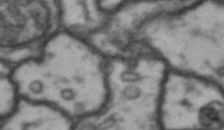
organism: Drosophila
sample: Brain